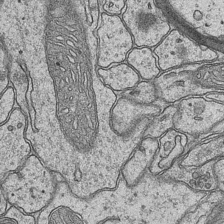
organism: Mouse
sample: CA1 Hippocampus